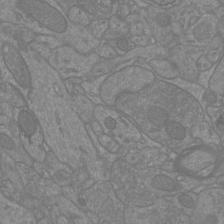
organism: Mouse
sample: Cortical neurons